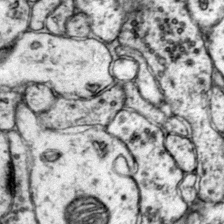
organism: Mouse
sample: Primary visual cortex